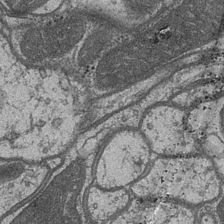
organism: Drosophila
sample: Optic medulla